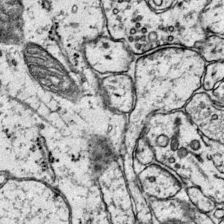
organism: Mouse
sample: Primary visual cortex